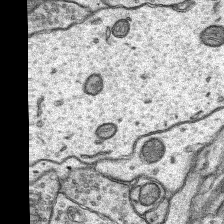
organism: Rat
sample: Hippocampus